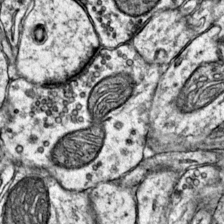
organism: Mouse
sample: Primary visual cortex